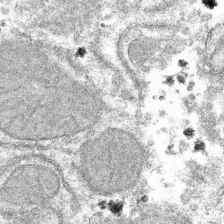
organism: Mouse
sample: Mouse hepatocytes